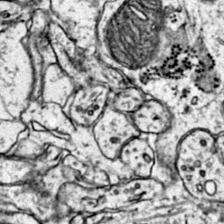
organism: Mouse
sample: Primary visual cortex